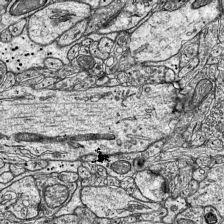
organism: Mouse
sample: Visual Cortex